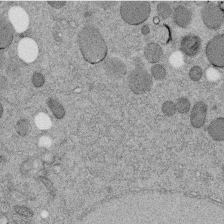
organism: C. elegans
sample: C. elegans embryo early stage